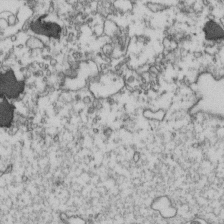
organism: Human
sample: Activated Jurkat CD4+ T cells